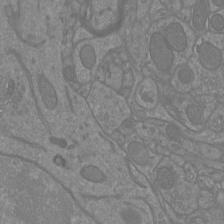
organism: Mouse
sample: Cortical neurons